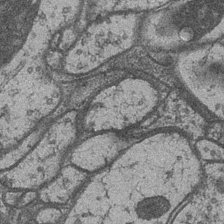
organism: Drosophila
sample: Optic medulla